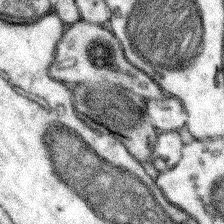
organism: Mouse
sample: Somatosensory cortex neuropil